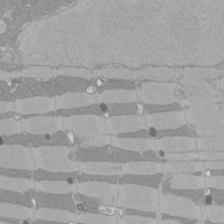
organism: Rat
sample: Left ventricle